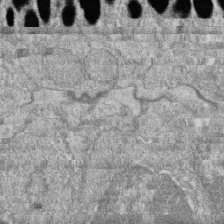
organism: Zebrafish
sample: Cilia; retinal pigment epithelium